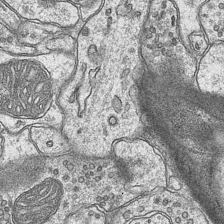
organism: Mouse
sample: CA1 Hippocampus